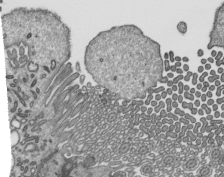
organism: Mouse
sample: Mouse epididymis efferent ductule cilia